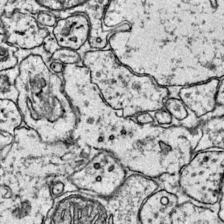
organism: Mouse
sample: Primary visual cortex